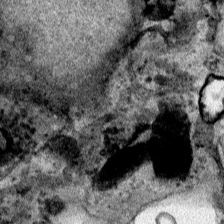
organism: Human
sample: Mitochondria in HCT116 cells